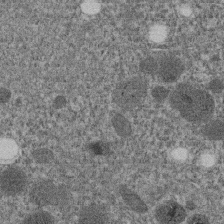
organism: C. elegans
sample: C. elegans embryo early stage